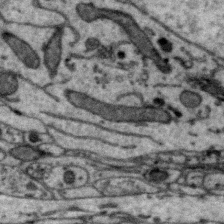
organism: Zebra finch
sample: Brain